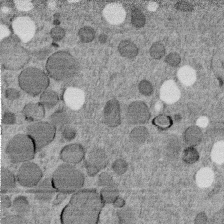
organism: C. elegans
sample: C. elegans embryo early stage